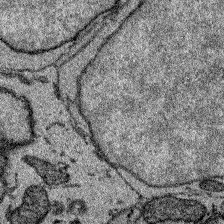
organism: Zebrafish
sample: Larval olfactory bulb